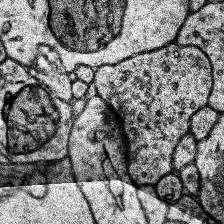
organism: Human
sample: Temporal Lobe